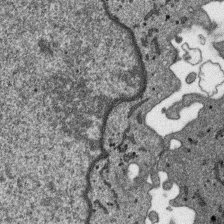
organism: Human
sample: Lung epithelial cells infected with SARS-CoV-2